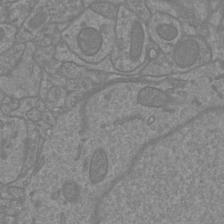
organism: Mouse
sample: Cortical neurons